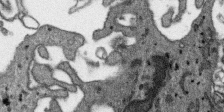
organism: Human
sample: Lung epithelial cells, uninfected (mock) control